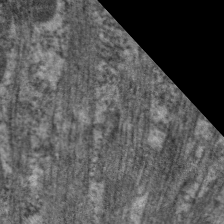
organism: C. elegans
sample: Pharynx